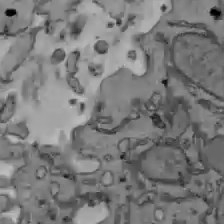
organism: C57BL Mouse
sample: Liver